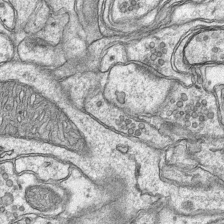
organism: Mouse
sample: CA1 Hippocampus